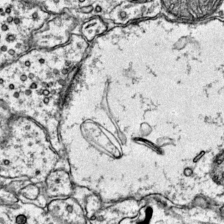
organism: Mouse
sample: Primary visual cortex